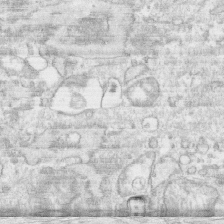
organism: Human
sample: CRL-1474